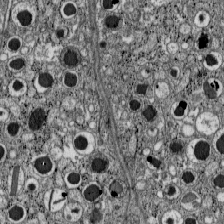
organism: C57BL Mouse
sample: Pancreatic islet